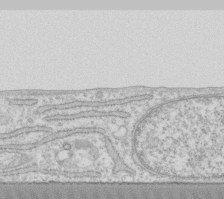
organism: Human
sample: Fibroblast cells